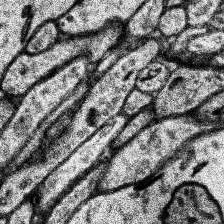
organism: Human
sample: Temporal Lobe